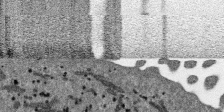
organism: Human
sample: Lung epithelial cells, uninfected (mock) control